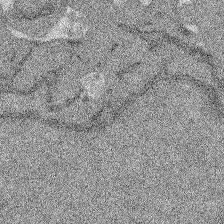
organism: Human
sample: HeLa cells